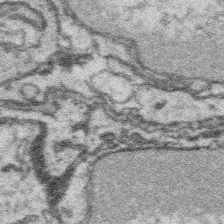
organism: Platynereis dumerilii